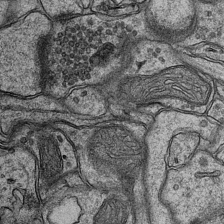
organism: Mouse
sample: CA1 Hippocampus